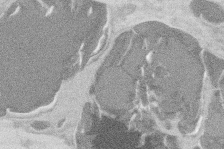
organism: Mouse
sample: T cell stromal cell synapse